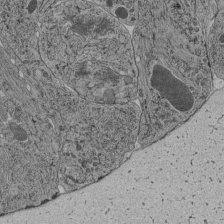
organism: C. elegans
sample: C. elegans pharynx